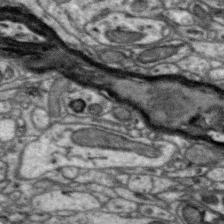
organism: Zebra finch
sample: Brain